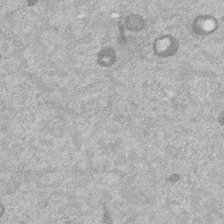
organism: Mouse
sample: Dividing mouse embryo 1 cell stage